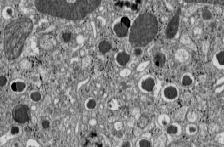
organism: C57BL Mouse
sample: Pancreatic islet